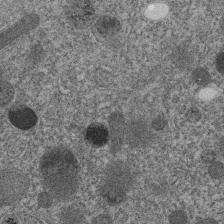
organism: C. elegans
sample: C. elegans embryo early stage